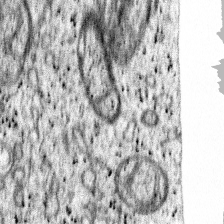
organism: Human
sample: HeLa cells